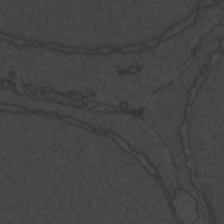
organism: Zebrafish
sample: Macrophage infected with Toxoplasma gondii